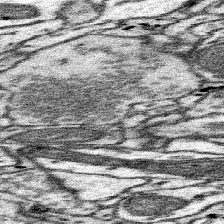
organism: Mouse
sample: Somatosensory cortex neuropil